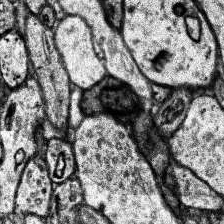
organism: Human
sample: Temporal Lobe